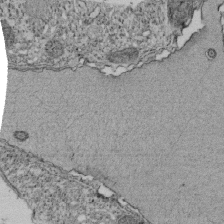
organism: Tetrahymena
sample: Cilia in tetrahymena